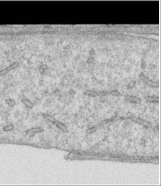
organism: Human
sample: Centriole in RPE cells